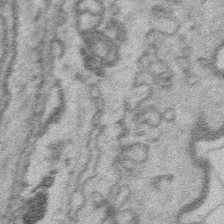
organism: Platynereis dumerilii